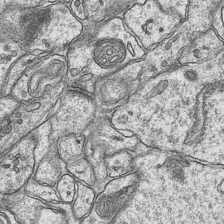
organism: Mouse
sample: CA1 Hippocampus